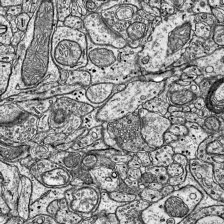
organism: Mouse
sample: Visual Cortex